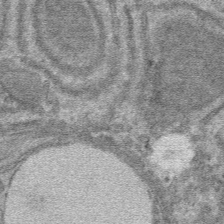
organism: Mouse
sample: Mouse hepatocytes